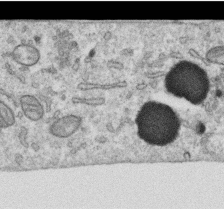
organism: Human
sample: Centriole in RPE cells